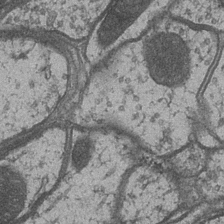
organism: Drosophila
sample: Optic medulla